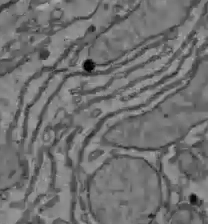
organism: C57BL Mouse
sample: Liver